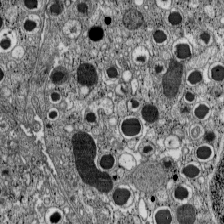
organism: C57BL Mouse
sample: Pancreatic islet